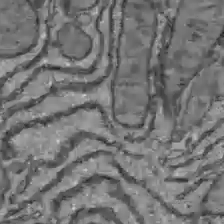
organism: C57BL Mouse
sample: Liver